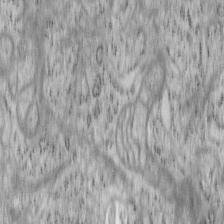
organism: Human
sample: HeLa cells